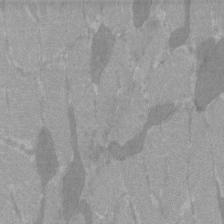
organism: C57BL Mouse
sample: Tibialis anterior muscle cell